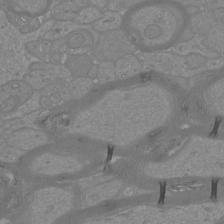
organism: Mouse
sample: Cortical neurons